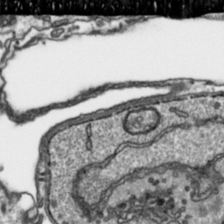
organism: Toxoplasma gondii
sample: Parasites in a vacuole inside a host cell